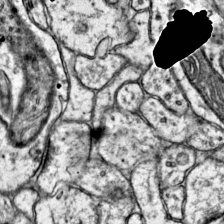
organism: Mouse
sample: Primary visual cortex